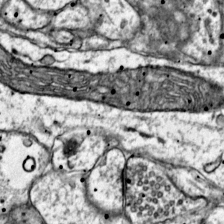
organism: Mouse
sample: Primary visual cortex